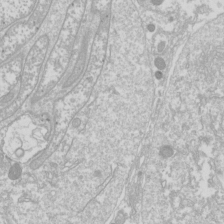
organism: Drosophila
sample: Cell division; meiosis; drosophila spermatocytes